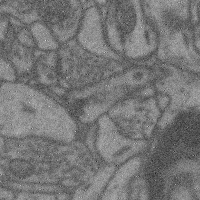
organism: Mouse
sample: Cerebral cortex